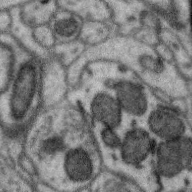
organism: Zebra finch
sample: Brain